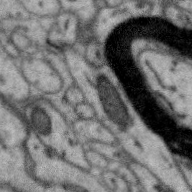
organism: Zebra finch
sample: Brain